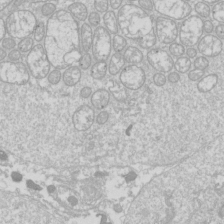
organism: Drosophila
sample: Cell division; meiosis; drosophila spermatocytes